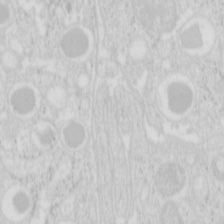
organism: Mouse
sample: Pancreas